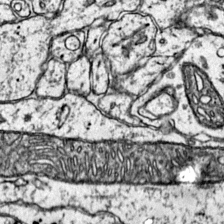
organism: Mouse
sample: Primary visual cortex